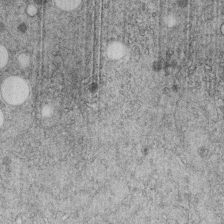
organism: C. elegans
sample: C. elegans embryo early stage